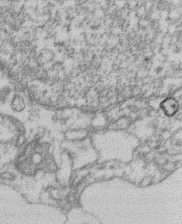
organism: Mouse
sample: T cell stromal cell synapse